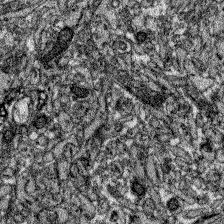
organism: Zebrafish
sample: Larval olfactory bulb